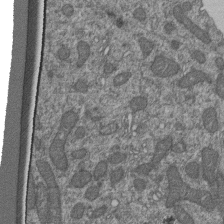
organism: Human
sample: Retinal organoid Rod and Cone cells